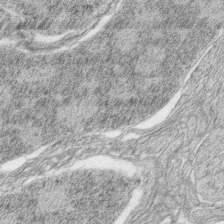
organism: Zebrafish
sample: synaptic ribbons in rod cells and cone cells